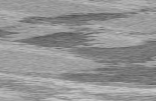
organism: C57BL Mouse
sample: Heart